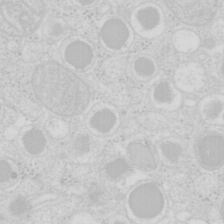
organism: Mouse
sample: Pancreas